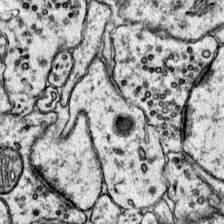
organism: Mouse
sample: Primary visual cortex